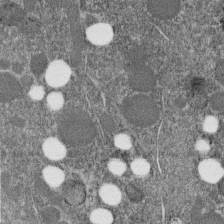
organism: C. elegans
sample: C. elegans embryo early stage